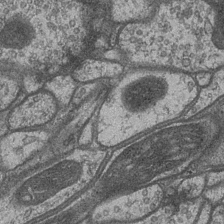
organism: Drosophila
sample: Optic medulla